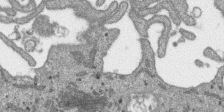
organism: Human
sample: Lung epithelial cells infected with SARS-CoV-2